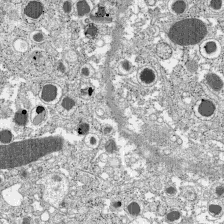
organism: C57BL Mouse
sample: Pancreatic islet